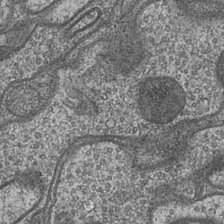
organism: Drosophila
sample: Optic medulla